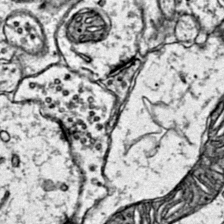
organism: Mouse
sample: Primary visual cortex